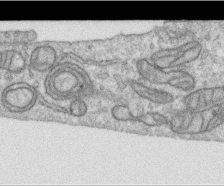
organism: Human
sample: Centriole in RPE cells